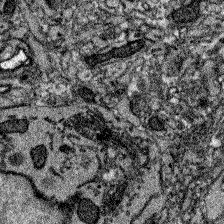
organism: Zebrafish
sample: Larval olfactory bulb